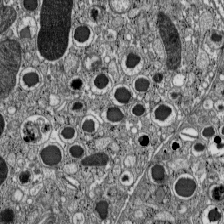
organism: C57BL Mouse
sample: Pancreatic islet